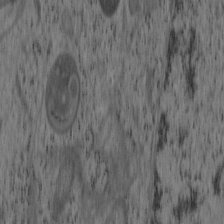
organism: Human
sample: HeLa cells